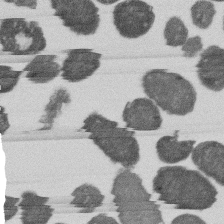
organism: E. coli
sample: Bacterial nucleoid